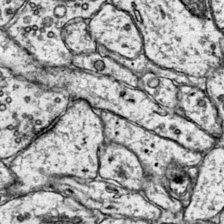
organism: Mouse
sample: Primary visual cortex